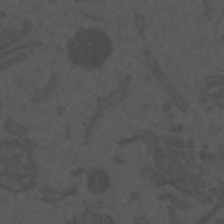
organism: Mouse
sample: Suprachiasmatic nucleus